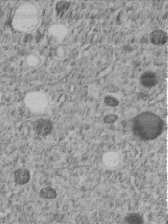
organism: C. elegans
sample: C. elegans embryo early stage